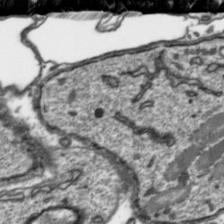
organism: Toxoplasma gondii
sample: Parasites in a vacuole inside a host cell